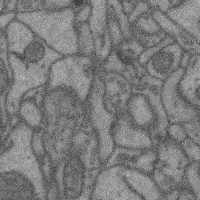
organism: Mouse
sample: Cerebral cortex